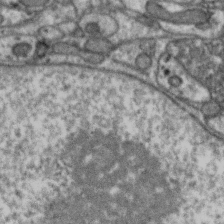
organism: Zebra finch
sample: Brain